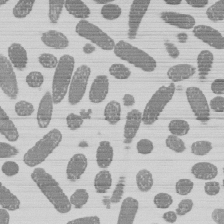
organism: E. coli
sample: Bacterial nucleoid